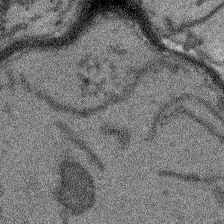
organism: Arabidopsis thaliana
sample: Root tip